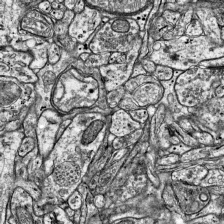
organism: Mouse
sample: Visual Cortex